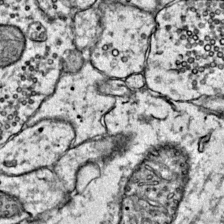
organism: Mouse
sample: Primary visual cortex